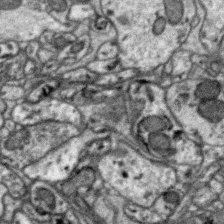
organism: Zebra finch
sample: Brain